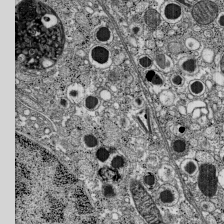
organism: C57BL Mouse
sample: Pancreatic islet